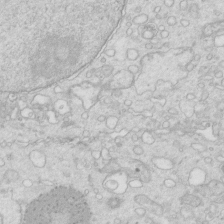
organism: Mouse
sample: Multiciliated cells